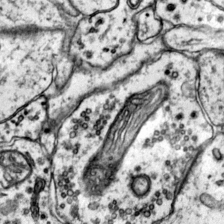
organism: Mouse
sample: Primary visual cortex